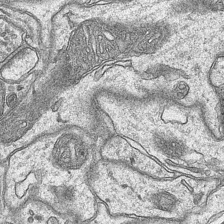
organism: Mouse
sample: CA1 Hippocampus